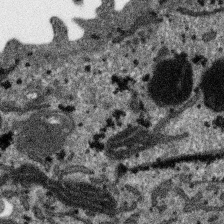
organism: Human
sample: Lung epithelial cells infected with SARS-CoV-2